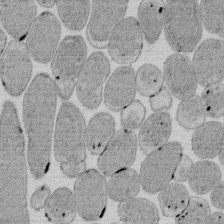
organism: E. coli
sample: Bacterial nucleoid